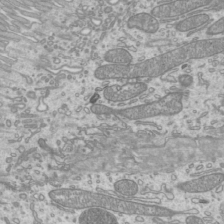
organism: Mouse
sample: Cilia; mouse epididymis